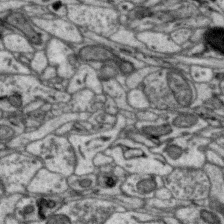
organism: Zebra finch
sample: Brain